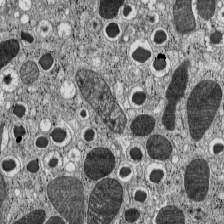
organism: C57BL Mouse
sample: Pancreatic islet